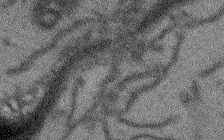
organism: Arabidopsis thaliana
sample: Root tip